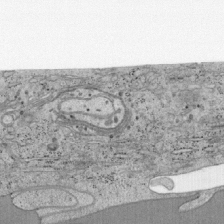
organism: Human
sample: HeLa cells